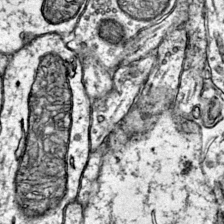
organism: Mouse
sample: Primary visual cortex